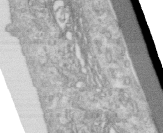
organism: Human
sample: Centriole in RPE cells